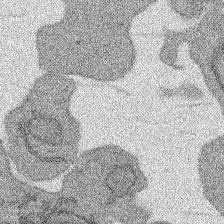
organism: Human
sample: HeLa cells